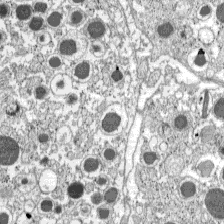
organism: C57BL Mouse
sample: Pancreatic islet